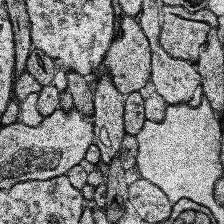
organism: Human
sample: Temporal Lobe